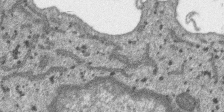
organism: Human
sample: Lung epithelial cells infected with SARS-CoV-2